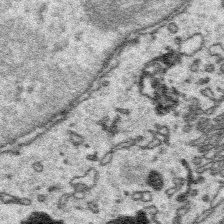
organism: Platynereis dumerilii